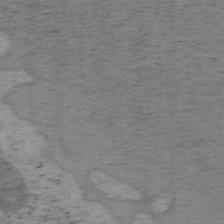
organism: Mouse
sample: OT-I killer T cells with ID8 ovarian cancer cells